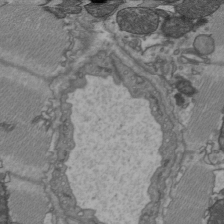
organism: C57BL Mouse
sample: Heart